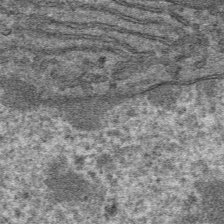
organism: Mouse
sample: Mouse hepatocytes